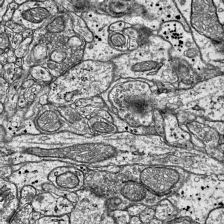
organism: Mouse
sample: Visual Cortex